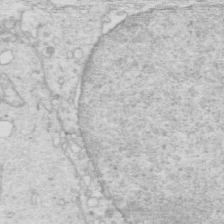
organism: Mouse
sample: Multiciliated cells